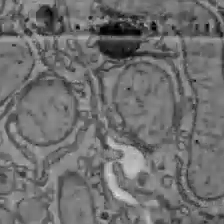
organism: C57BL Mouse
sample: Liver